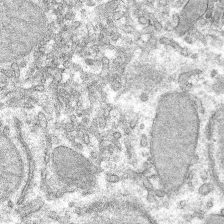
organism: Mouse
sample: Mouse hepatocytes